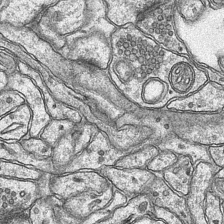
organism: Mouse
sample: CA1 Hippocampus